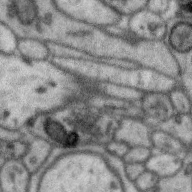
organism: Zebra finch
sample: Brain